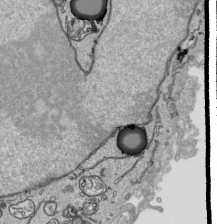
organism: Human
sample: Mitochondria in HCT116 cells